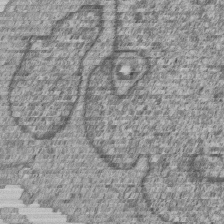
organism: Human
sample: MDA-MB-231 cells